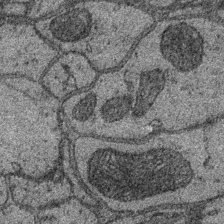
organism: Drosophila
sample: Optic medulla